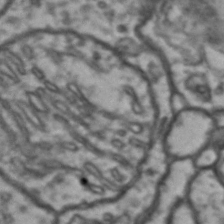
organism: Drosophila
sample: Brain